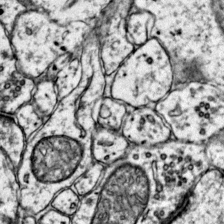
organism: Mouse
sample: Primary visual cortex